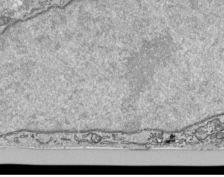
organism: Human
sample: Mitochondria in HCT116 cells